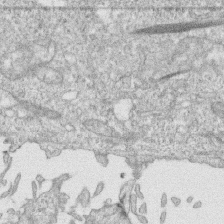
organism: Human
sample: HeLa cell HIV synapse